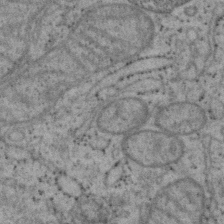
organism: Human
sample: HeLa cells